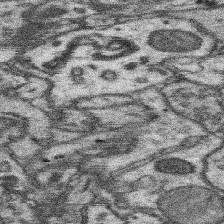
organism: Mouse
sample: Somatosensory cortex neuropil